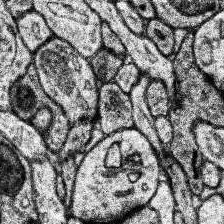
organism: Human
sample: Temporal Lobe